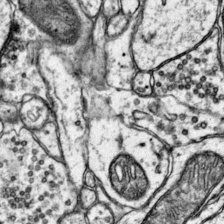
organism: Mouse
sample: Primary visual cortex